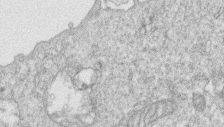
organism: Human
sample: HeLa cell HIV synapse